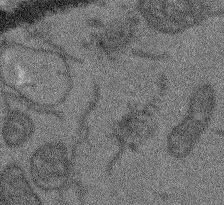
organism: Arabidopsis thaliana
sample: Root tip